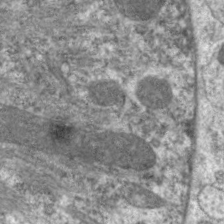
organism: C. elegans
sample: Pharynx